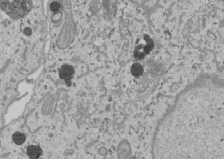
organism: Human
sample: Mitochondria in U2OS cells